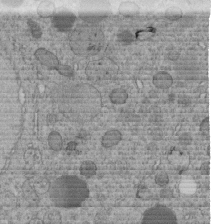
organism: C. elegans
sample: C. elegans embryo early stage